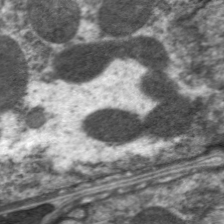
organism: C. elegans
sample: Pharynx